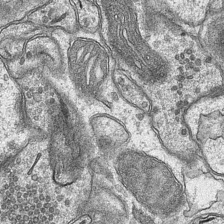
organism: Mouse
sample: CA1 Hippocampus